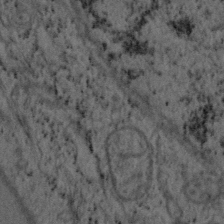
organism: Human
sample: HeLa cells